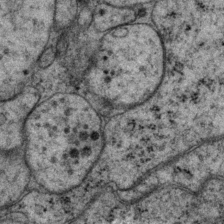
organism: P. pacificus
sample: Pharynx